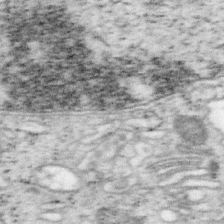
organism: Mouse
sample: OT-I killer T cells with ID8 ovarian cancer cells